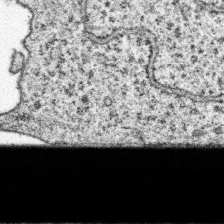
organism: Human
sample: HeLa cells